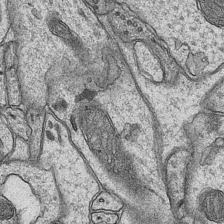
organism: Mouse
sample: CA1 Hippocampus